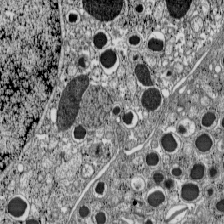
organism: C57BL Mouse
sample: Pancreatic islet